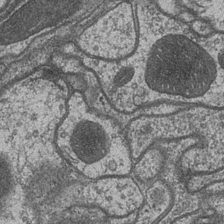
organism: Drosophila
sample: Optic medulla